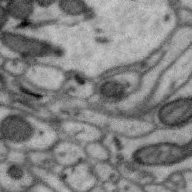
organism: Zebra finch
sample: Brain